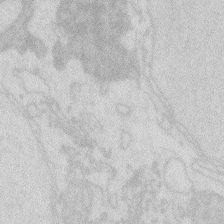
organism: Zebrafish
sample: Macrophage